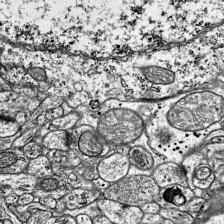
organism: Mouse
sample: Visual Cortex